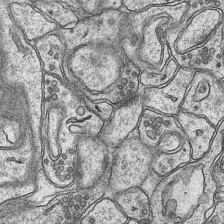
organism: Mouse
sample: CA1 Hippocampus